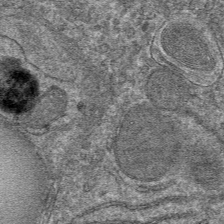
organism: Mouse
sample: Mouse hepatocytes